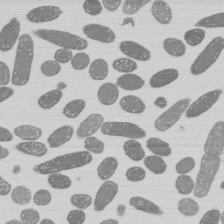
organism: E. coli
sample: Bacterial nucleoid